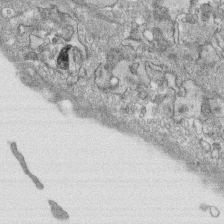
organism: Human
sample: CRL-1474